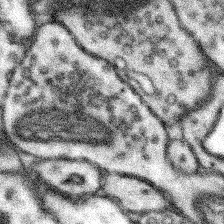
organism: Mouse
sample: Somatosensory cortex neuropil